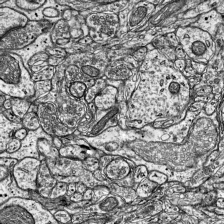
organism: Mouse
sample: Visual Cortex